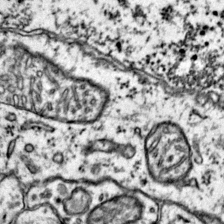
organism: Mouse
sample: Primary visual cortex